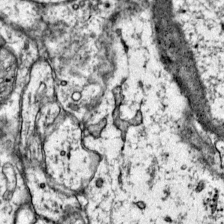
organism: Mouse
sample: Primary visual cortex